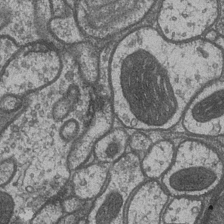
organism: Drosophila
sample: Optic medulla